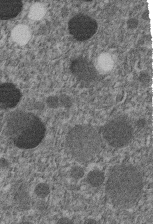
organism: C. elegans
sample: C. elegans embryo early stage